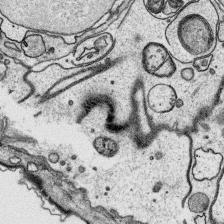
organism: Platynereis dumerilii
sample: Parapodia